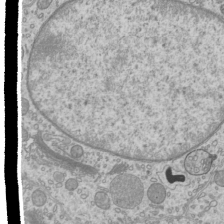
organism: Mouse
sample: Cilia; mouse epididymis